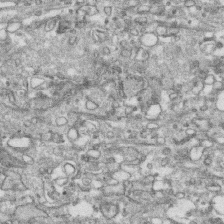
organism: Human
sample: CRL-1474